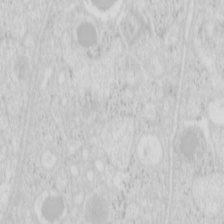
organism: Mouse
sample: Pancreas